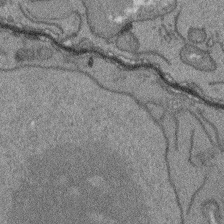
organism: Arabidopsis thaliana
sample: Root tip